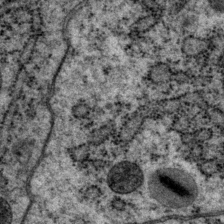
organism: P. pacificus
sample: Pharynx